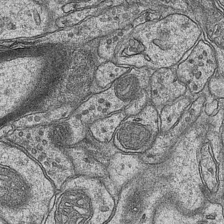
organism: Mouse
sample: CA1 Hippocampus